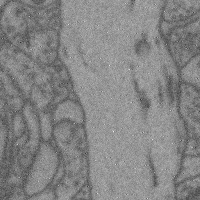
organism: Mouse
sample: Cerebral cortex